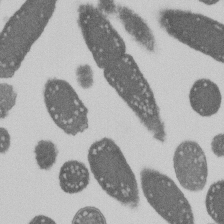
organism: E. coli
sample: Bacterial nucleoid